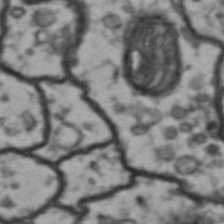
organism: Drosophila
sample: Brain